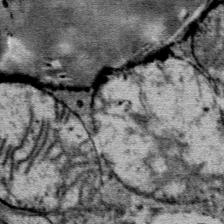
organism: Mouse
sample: Mouse Salivary gland